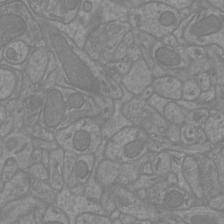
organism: Mouse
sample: Cortical neurons